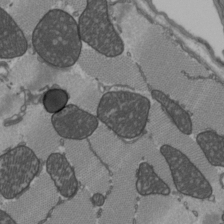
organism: C57BL Mouse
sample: Heart